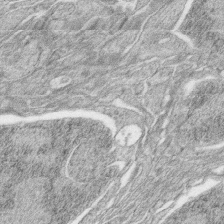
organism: Zebrafish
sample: synaptic ribbons in rod cells and cone cells